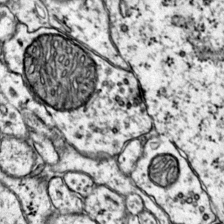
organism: Mouse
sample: Primary visual cortex